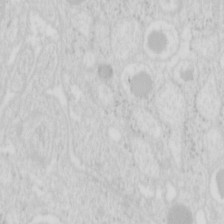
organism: Mouse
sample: Pancreas